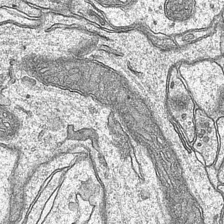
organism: Mouse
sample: CA1 Hippocampus